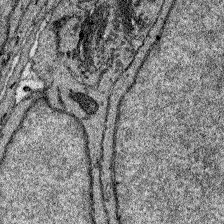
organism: Zebrafish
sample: Larval olfactory bulb